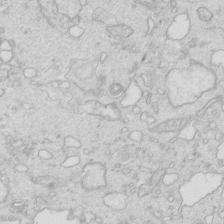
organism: Mouse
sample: Multiciliated cells